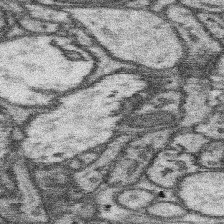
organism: Mouse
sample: Somatosensory cortex neuropil